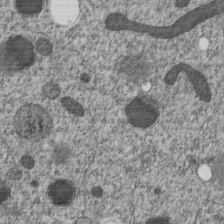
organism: C. elegans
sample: C. elegans embryo early stage